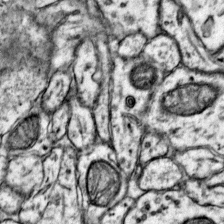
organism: Mouse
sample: Primary visual cortex